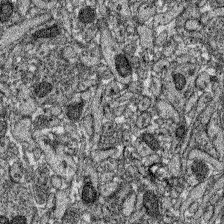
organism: Zebrafish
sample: Larval olfactory bulb